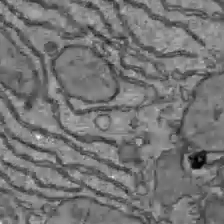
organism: C57BL Mouse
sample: Liver